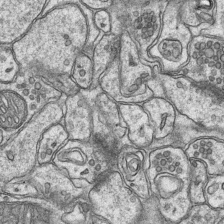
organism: Mouse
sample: CA1 Hippocampus